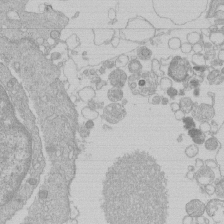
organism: Human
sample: Macrophage cells